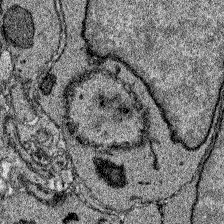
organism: Zebrafish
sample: Larval olfactory bulb